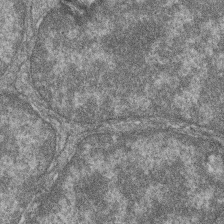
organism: Zebrafish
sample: Cilia; retinal pigment epithelium